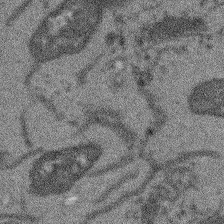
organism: Arabidopsis thaliana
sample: Root tip